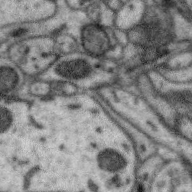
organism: Zebra finch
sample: Brain